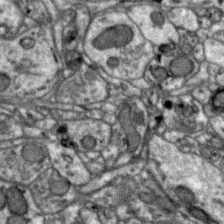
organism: Zebra finch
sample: Brain